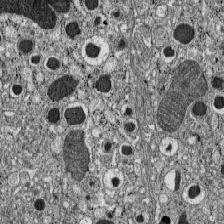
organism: C57BL Mouse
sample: Pancreatic islet